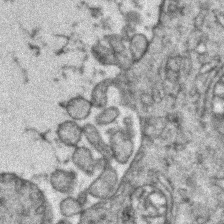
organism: Zebrafish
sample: Zebrafish embryo